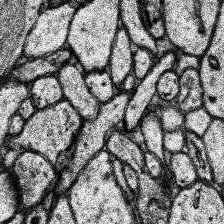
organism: Human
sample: Temporal Lobe